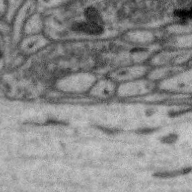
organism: Zebra finch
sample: Brain